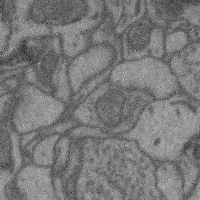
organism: Mouse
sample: Cerebral cortex